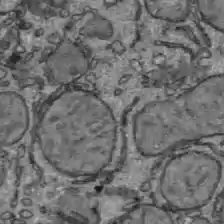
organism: C57BL Mouse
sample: Liver